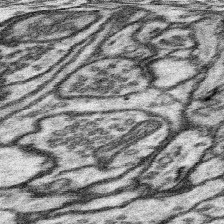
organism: Mouse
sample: Somatosensory cortex neuropil